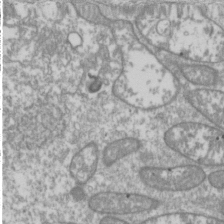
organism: Drosophila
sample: Cell division; meiosis; drosophila spermatocytes